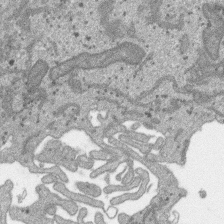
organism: Human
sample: Lung epithelial cells infected with SARS-CoV-2